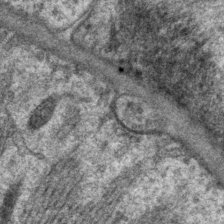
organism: P. pacificus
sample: Pharynx